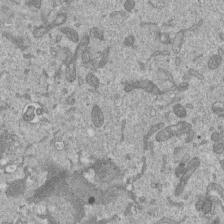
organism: Mouse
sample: ED-1 cell nuclei; centrioles